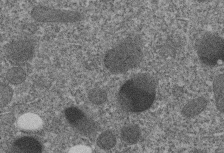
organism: C. elegans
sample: C. elegans embryo early stage